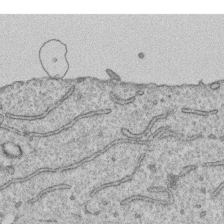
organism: Human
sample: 1205lu cells